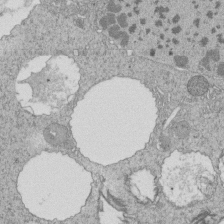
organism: Tetrahymena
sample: Cilia in tetrahymena